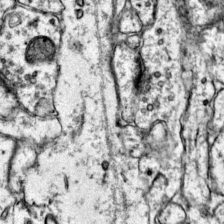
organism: Mouse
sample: Primary visual cortex